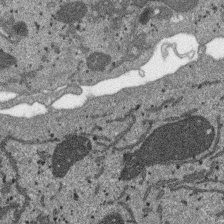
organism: Human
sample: Lung epithelial cells infected with SARS-CoV-2